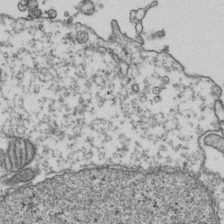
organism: Human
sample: Activated Jurkat CD4+ T cells